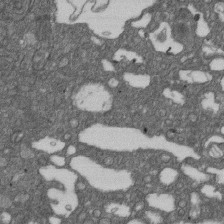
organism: Drosophila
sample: Nephrocyte